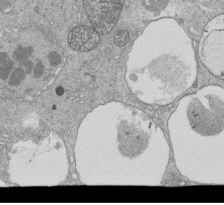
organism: Tetrahymena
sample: Cilia in tetrahymena